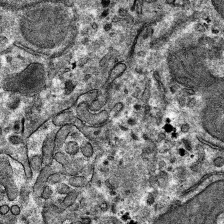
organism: Mouse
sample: Mouse hepatocytes